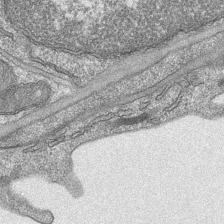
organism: Mouse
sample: CA1 Hippocampus